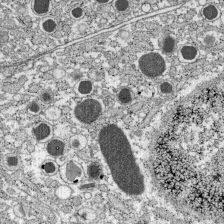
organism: C57BL Mouse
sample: Pancreatic islet